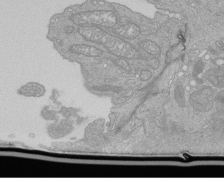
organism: Human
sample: Retinal organoid Rod and Cone cells